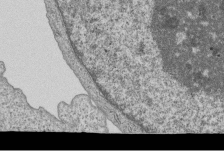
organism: Human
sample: MDA-MB-231 cells